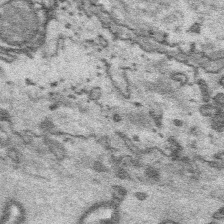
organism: Platynereis dumerilii